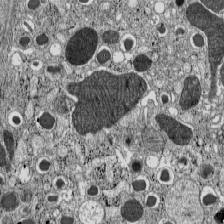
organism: C57BL Mouse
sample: Pancreatic islet